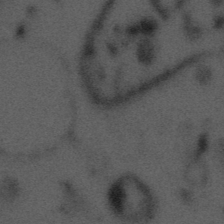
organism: Tuwongella immobilis